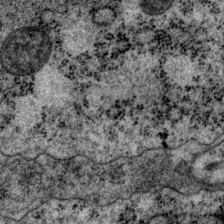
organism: P. pacificus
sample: Pharynx